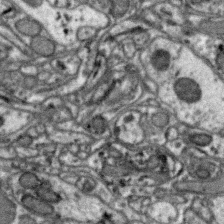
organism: Zebra finch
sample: Brain